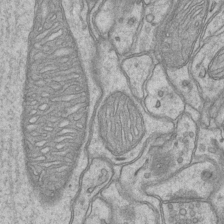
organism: Mouse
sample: CA1 Hippocampus